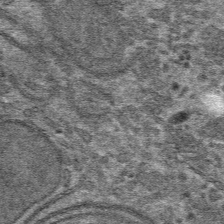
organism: Mouse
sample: Mouse hepatocytes